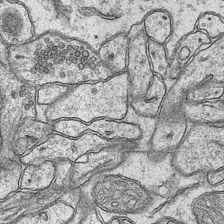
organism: Mouse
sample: CA1 Hippocampus